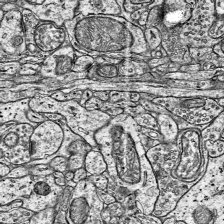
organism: Mouse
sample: Visual Cortex